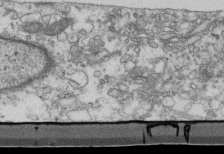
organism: Mouse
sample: Cilia; retinal pigment epithelium